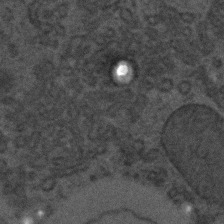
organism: C. elegans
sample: C. elegans embryo